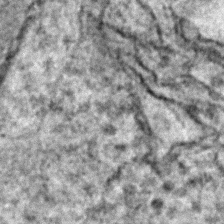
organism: Zebrafish